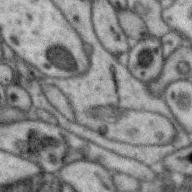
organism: Zebra finch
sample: Brain